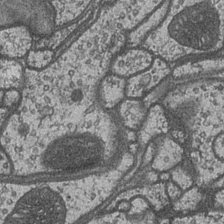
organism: Drosophila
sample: Optic medulla